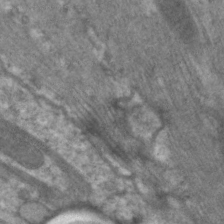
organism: C. elegans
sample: Pharynx